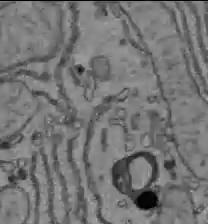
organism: C57BL Mouse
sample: Liver